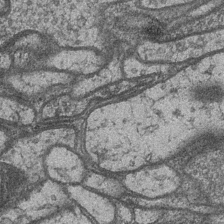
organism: Drosophila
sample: Optic medulla